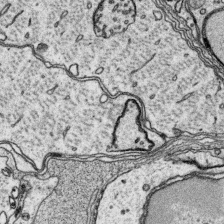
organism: Platynereis dumerilii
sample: Parapodia